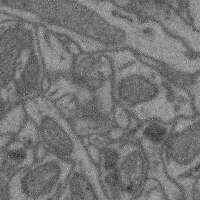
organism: Mouse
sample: Cerebral cortex